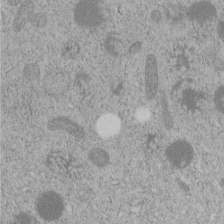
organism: C. elegans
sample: C. elegans embryo early stage